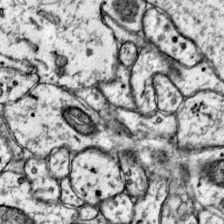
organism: Mouse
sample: Primary visual cortex